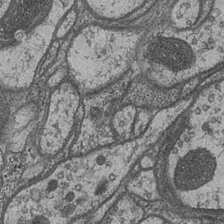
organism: Drosophila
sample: Optic medulla